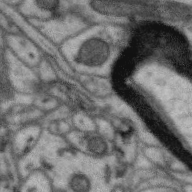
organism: Zebra finch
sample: Brain